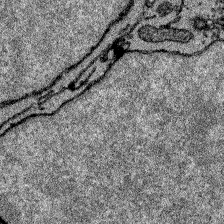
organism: Zebrafish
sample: Larval olfactory bulb